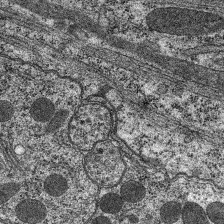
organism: C. elegans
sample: Pharynx